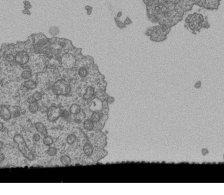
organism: Human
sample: Retinal organoid Rod and Cone cells